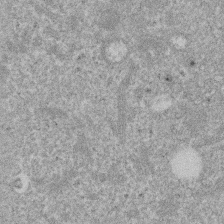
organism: Mouse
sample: Dividing mouse embryo 1 cell stage